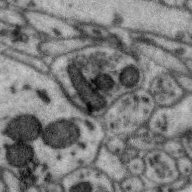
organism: Zebra finch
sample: Brain